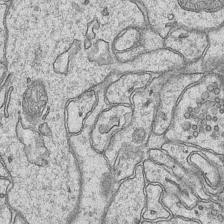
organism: Mouse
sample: CA1 Hippocampus